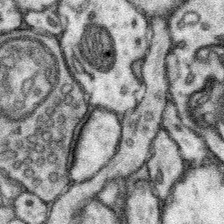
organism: Mouse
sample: Somatosensory cortex neuropil